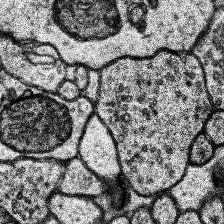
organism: Human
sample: Temporal Lobe